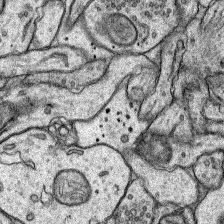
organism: Rat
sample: Hippocampus